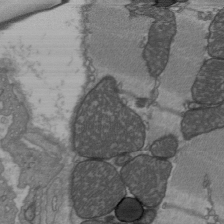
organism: C57BL Mouse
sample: Heart